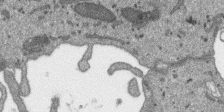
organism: Human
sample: Lung epithelial cells infected with SARS-CoV-2